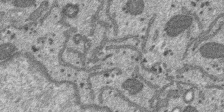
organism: Human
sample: Lung epithelial cells infected with SARS-CoV-2